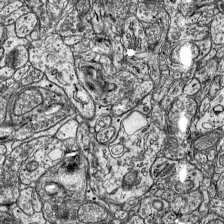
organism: Mouse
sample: Visual Cortex